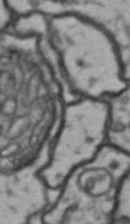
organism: Drosophila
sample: Brain